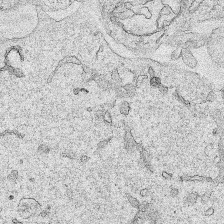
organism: Human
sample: Mitochondria in HCT116 cells